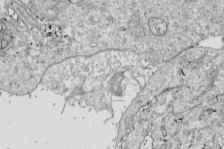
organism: Drosophila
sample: Cell division; meiosis; drosophila spermatocytes